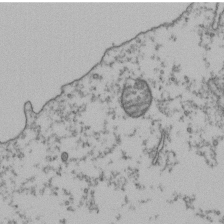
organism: Human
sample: Activated Jurkat CD4+ T cells